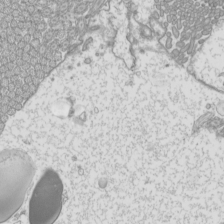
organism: Mouse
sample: Cilia; mouse epididymis